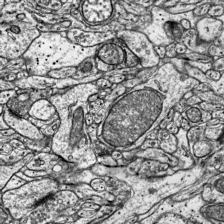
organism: Mouse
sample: Visual Cortex